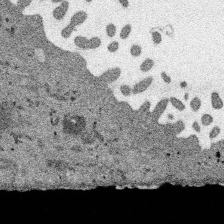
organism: Human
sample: Lung epithelial cells, uninfected (mock) control